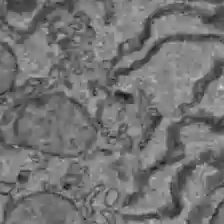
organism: C57BL Mouse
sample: Liver